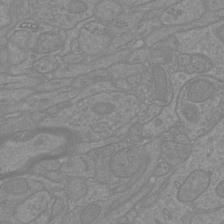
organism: Mouse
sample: Cortical neurons